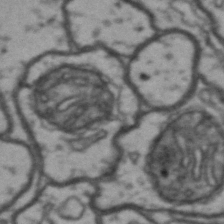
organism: Drosophila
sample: Brain